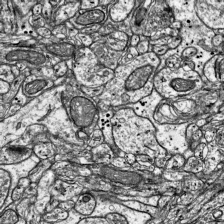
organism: Mouse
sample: Visual Cortex